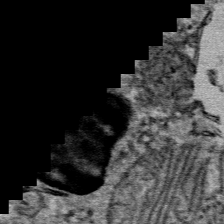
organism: Mouse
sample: Mouse Salivary gland